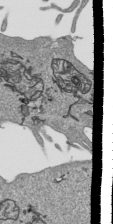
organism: Human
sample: Mitochondria in HCT116 cells